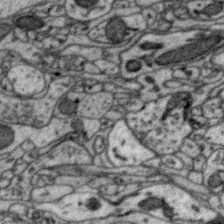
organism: Zebra finch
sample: Brain